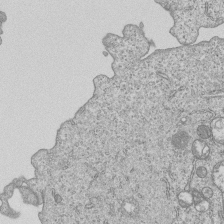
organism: Human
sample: MDA-MB-231 cells